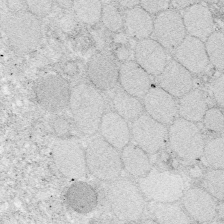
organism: Zebrafish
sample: Whole-Brain